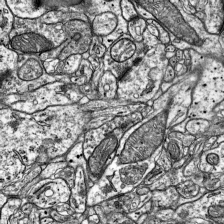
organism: Mouse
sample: Visual Cortex